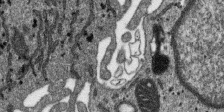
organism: Human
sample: Lung epithelial cells infected with SARS-CoV-2